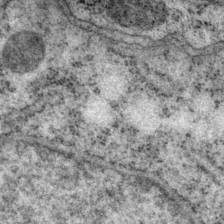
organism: P. pacificus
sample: Pharynx